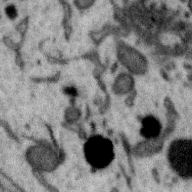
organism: Zebra finch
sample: Brain